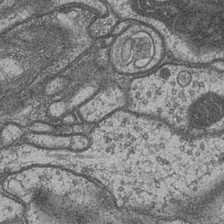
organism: Drosophila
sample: Optic medulla